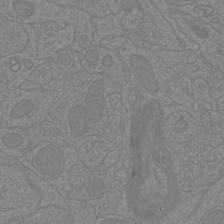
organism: Mouse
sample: Cortical neurons